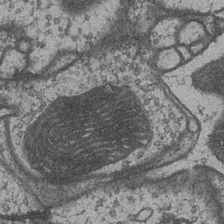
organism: Drosophila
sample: Optic medulla